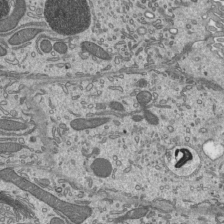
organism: Mouse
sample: Mouse epididymis efferent ductule cilia